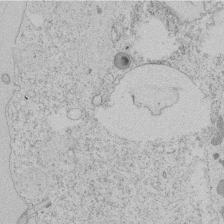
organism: Tetrahymena